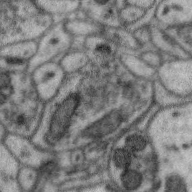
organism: Zebra finch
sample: Brain